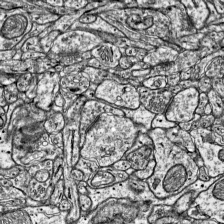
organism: Mouse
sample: Visual Cortex